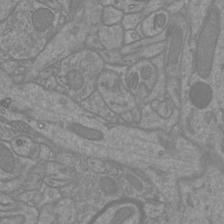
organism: Mouse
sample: Cortical neurons